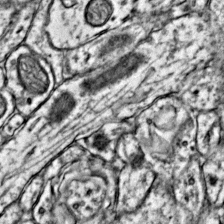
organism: Mouse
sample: Primary visual cortex